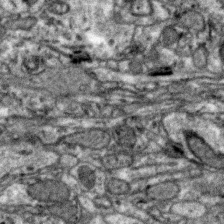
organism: Zebra finch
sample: Brain